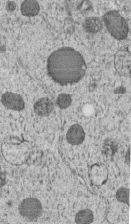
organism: C. elegans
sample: C. elegans embryo early stage